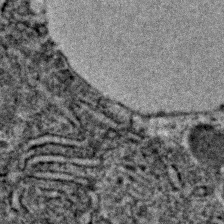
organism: C. elegans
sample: C. elegans embryo